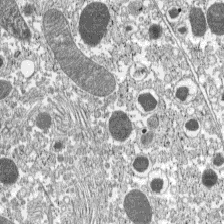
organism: C57BL Mouse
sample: Pancreatic islet